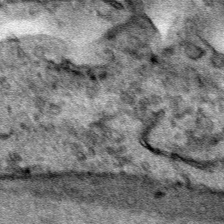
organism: Human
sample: Mitochondria in HCT116 cells